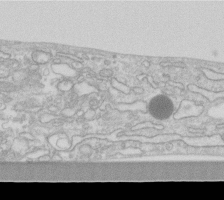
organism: Human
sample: Fibroblast cells